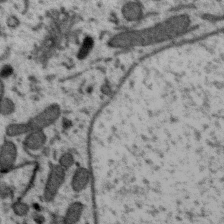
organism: Zebra finch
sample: Brain